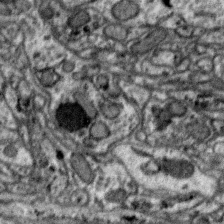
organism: Zebra finch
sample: Brain